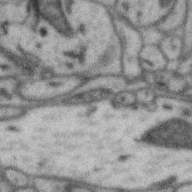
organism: Zebra finch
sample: Brain